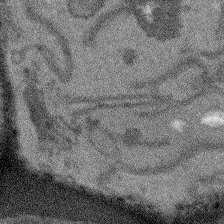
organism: Arabidopsis thaliana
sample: Root tip